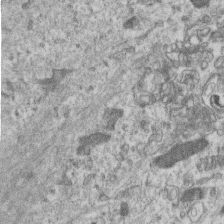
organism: Mouse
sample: Centriole in ependymal cells